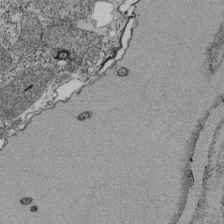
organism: Tetrahymena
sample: Cilia in tetrahymena